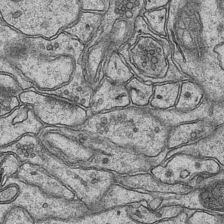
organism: Mouse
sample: CA1 Hippocampus